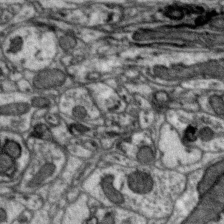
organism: Zebra finch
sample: Brain